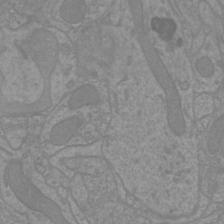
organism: Mouse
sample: Cortical neurons